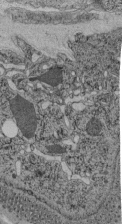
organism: C. elegans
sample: C. elegans pharynx